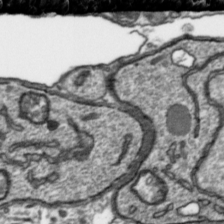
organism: Toxoplasma gondii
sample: Parasites in a vacuole inside a host cell